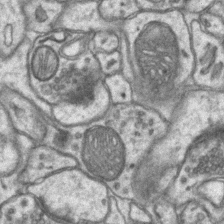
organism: Mouse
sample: CA1 Hippocampus